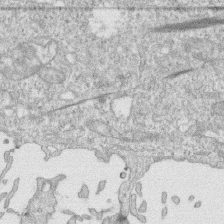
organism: Human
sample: HeLa cell HIV synapse